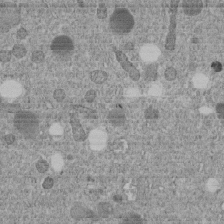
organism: C. elegans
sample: C. elegans embryo early stage